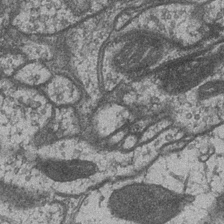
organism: Drosophila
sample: Optic medulla